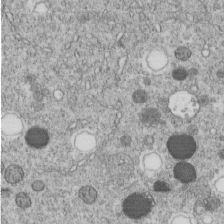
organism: C. elegans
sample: C. elegans embryo early stage